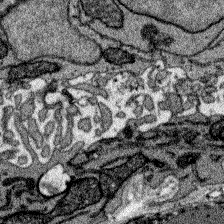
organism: Zebrafish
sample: Larval olfactory bulb